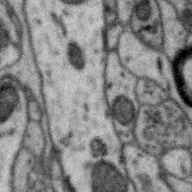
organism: Zebra finch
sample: Brain